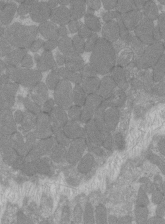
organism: C57BL Mouse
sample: Tibialis anterior muscle cell